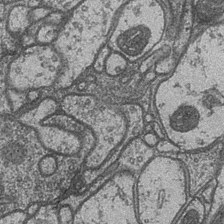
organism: Drosophila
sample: Optic medulla